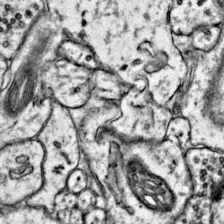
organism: Mouse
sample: Primary visual cortex